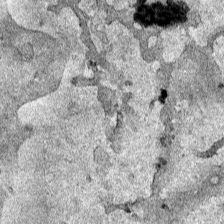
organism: Human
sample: Mitochondria in HCT116 cells